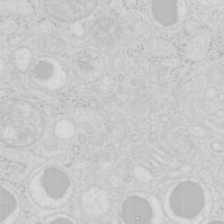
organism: Mouse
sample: Pancreas